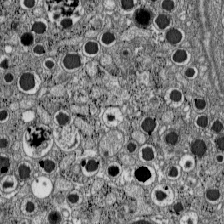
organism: C57BL Mouse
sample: Pancreatic islet